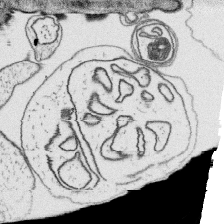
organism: Platynereis dumerilii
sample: Parapodia